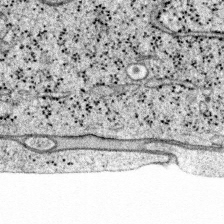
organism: Human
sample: HeLa cells